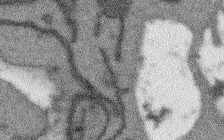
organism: Arabidopsis thaliana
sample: Root tip